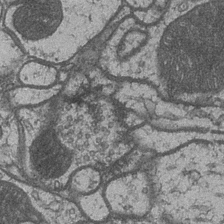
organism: Drosophila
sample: Optic medulla